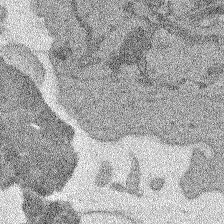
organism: Human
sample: HeLa cells